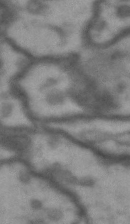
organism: Drosophila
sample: Brain